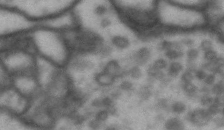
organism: Drosophila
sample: Brain